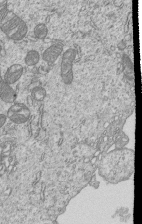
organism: Human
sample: MDA-MB-231 cells